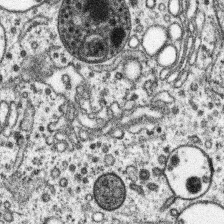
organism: Human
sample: HeLa cells